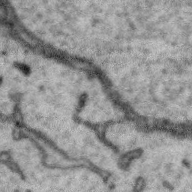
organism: Zebra finch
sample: Brain